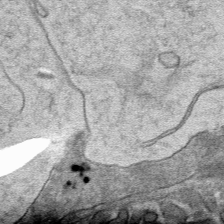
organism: Mouse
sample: Mouse hepatocytes